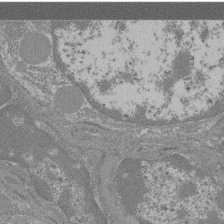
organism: Mouse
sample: Glomerulus